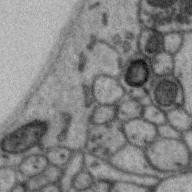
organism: Zebra finch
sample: Brain